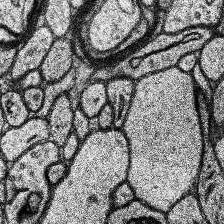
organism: Human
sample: Temporal Lobe